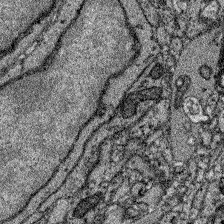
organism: Zebrafish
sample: Larval olfactory bulb